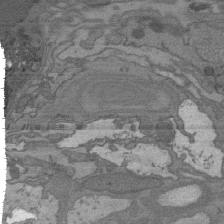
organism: C. elegans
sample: AFD neurons C. elegans